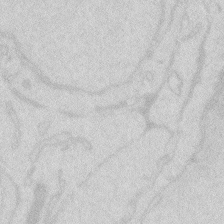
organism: Zebrafish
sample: Macrophage